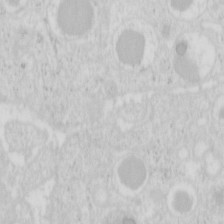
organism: Mouse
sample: Pancreas